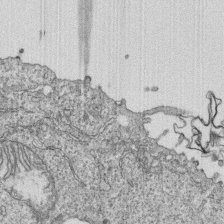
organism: Human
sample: HeLa cell HIV synapse